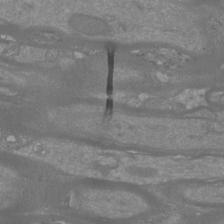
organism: Mouse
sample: Cortical neurons